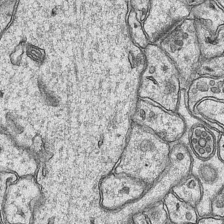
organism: Mouse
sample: CA1 Hippocampus